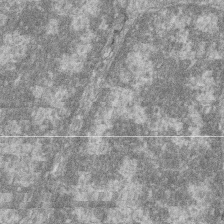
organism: Zebrafish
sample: Cilia; retinal pigment epithelium